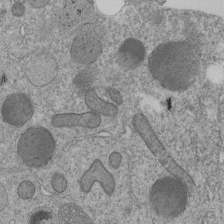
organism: C. elegans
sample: C. elegans embryo early stage